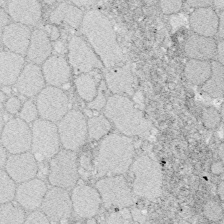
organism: Zebrafish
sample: Whole-Brain